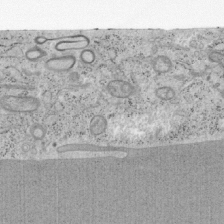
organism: Human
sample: HeLa cells